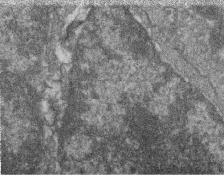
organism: Zebrafish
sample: Cilia; retinal pigment epithelium